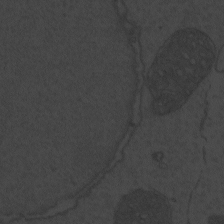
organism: Zebrafish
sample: Macrophage infected with Toxoplasma gondii